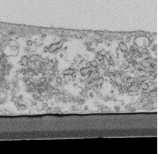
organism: Mouse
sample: Cilia; retinal pigment epithelium